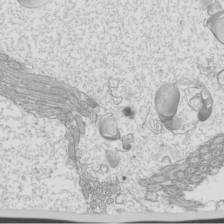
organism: Mouse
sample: Cilia; mouse epididymis